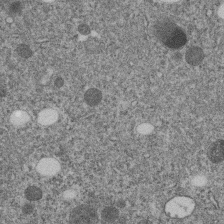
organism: C. elegans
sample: C. elegans embryo early stage